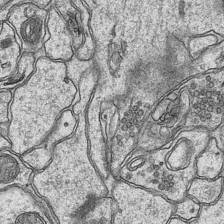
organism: Mouse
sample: CA1 Hippocampus